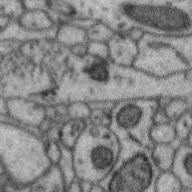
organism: Zebra finch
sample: Brain